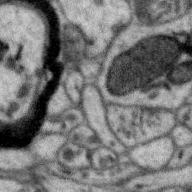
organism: Zebra finch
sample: Brain